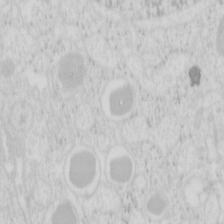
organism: Mouse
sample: Pancreas